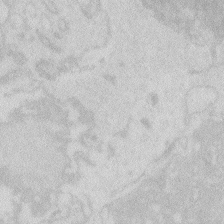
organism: Zebrafish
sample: Macrophage